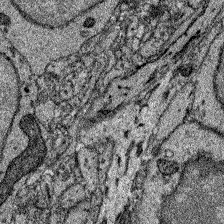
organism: Zebrafish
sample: Larval olfactory bulb